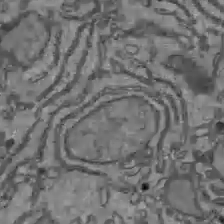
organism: C57BL Mouse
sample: Liver